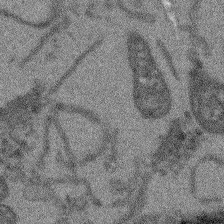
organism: Arabidopsis thaliana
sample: Root tip